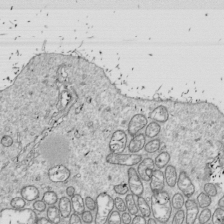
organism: Drosophila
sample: Cell division; meiosis; drosophila spermatocytes